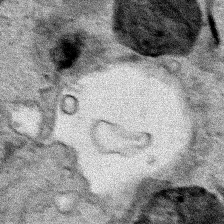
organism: Human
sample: Mitochondria in HCT116 cells